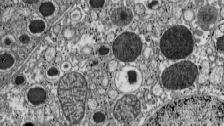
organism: C57BL Mouse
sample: Pancreatic islet